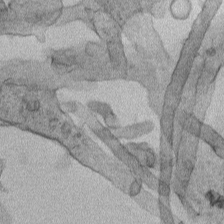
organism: Human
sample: Mitochondria in HCT116 cells